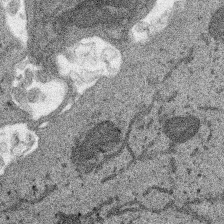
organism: Human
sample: Lung epithelial cells infected with SARS-CoV-2